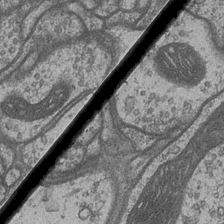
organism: Drosophila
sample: Optic medulla